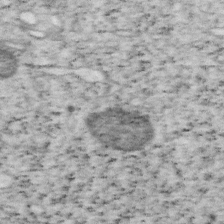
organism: Mouse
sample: OT-I killer T cells with ID8 ovarian cancer cells